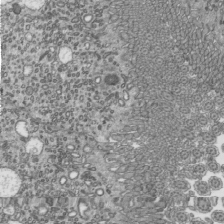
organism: Mouse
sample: Mouse epididymis efferent ductule cilia